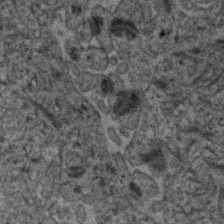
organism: Human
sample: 1205lu cells